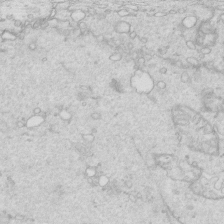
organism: Mouse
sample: Multiciliated cells